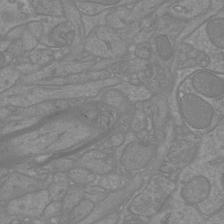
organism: Mouse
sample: Cortical neurons